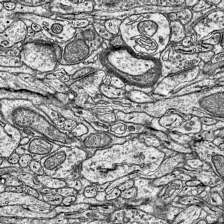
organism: Mouse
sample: Visual Cortex